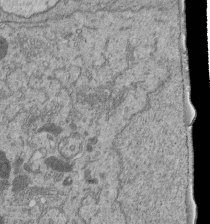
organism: Human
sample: Retinal organoid Rod and Cone cells